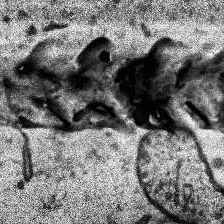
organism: Human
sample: Temporal Lobe